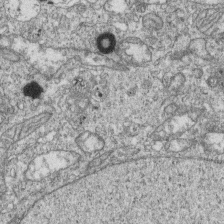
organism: Human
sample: HeLa cell HIV synapse